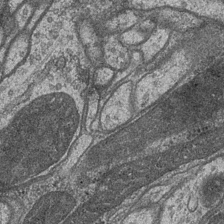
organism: Drosophila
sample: Optic medulla